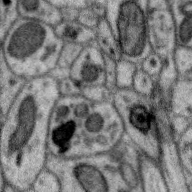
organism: Zebra finch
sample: Brain